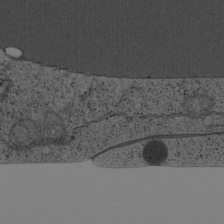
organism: African green monkey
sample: COS-7 cells